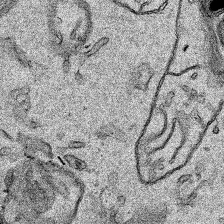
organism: Human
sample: Mitochondria in HCT116 cells